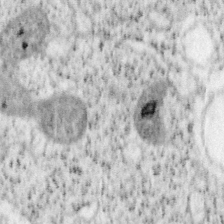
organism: Mouse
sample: OT-I killer T cells with ID8 ovarian cancer cells